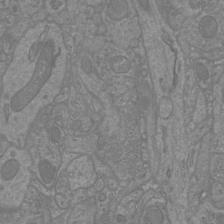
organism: Mouse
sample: Cortical neurons